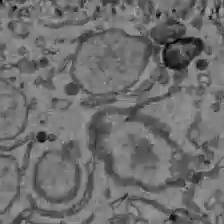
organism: C57BL Mouse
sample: Liver